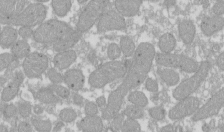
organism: Xenopus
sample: Cilia; centrioles in frog embryo cells